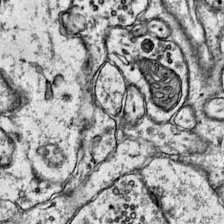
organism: Mouse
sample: Primary visual cortex